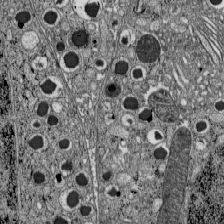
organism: C57BL Mouse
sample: Pancreatic islet